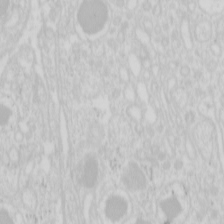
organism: Mouse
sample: Pancreas